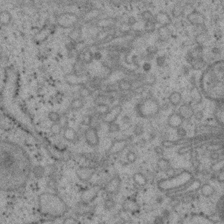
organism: Human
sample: HeLa cells